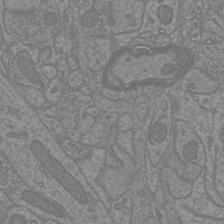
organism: Mouse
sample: Cortical neurons